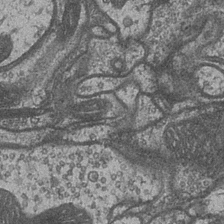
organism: Drosophila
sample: Optic medulla